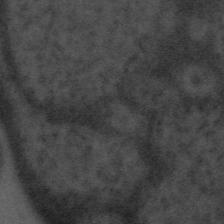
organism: Tuwongella immobilis